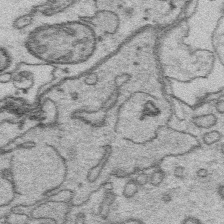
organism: Platynereis dumerilii